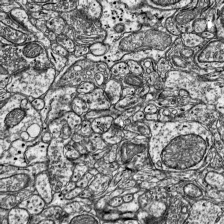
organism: Mouse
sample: Visual Cortex